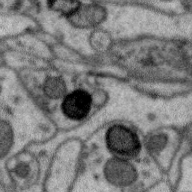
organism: Zebra finch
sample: Brain